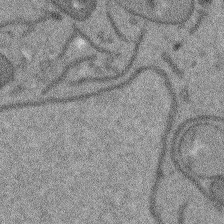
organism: Arabidopsis thaliana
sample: Root tip